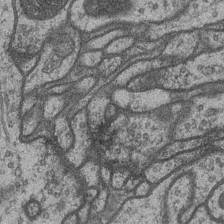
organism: Drosophila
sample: Optic medulla